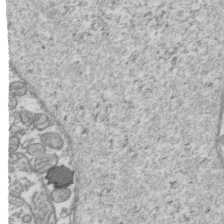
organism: Human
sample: Activated Jurkat CD4+ T cells